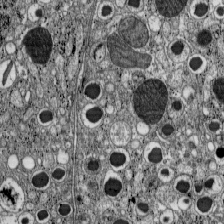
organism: C57BL Mouse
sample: Pancreatic islet